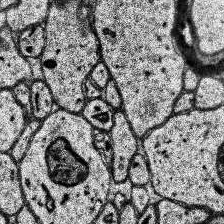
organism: Human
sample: Temporal Lobe